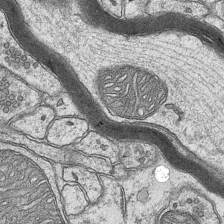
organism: Mouse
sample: CA1 Hippocampus